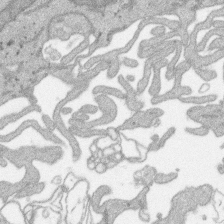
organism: Human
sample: Lung epithelial cells infected with SARS-CoV-2